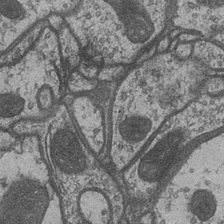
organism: Drosophila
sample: Optic medulla